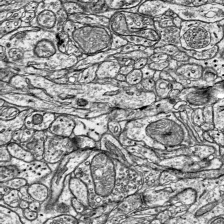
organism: Mouse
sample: Visual Cortex